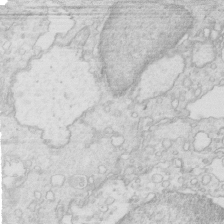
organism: Mouse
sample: Multiciliated cells